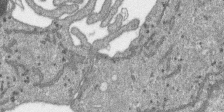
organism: Human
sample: Lung epithelial cells infected with SARS-CoV-2